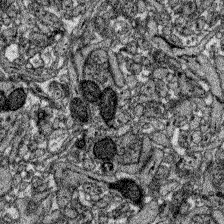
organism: Zebrafish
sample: Larval olfactory bulb